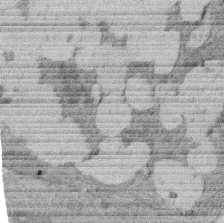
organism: Rat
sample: Salivary granule